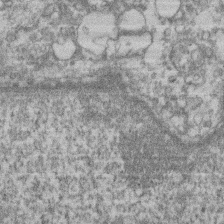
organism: Mouse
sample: T cell stromal cell synapse